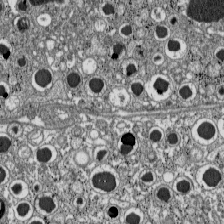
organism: C57BL Mouse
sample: Pancreatic islet